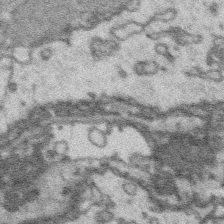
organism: Platynereis dumerilii